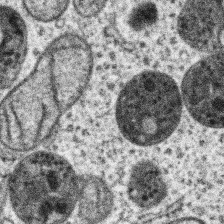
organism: Human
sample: HeLa cells